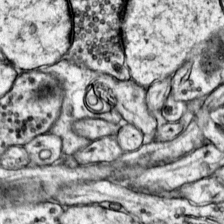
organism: Mouse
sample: Primary visual cortex